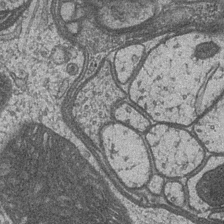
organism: Drosophila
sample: Optic medulla